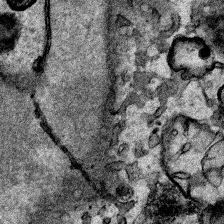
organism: Human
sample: Mitochondria in HCT116 cells